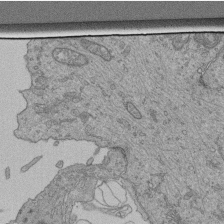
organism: Human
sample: Retinal organoid Rod and Cone cells